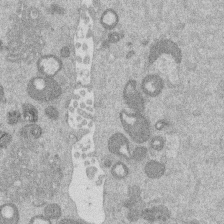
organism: Mouse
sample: Dividing mouse embryo 1 cell stage